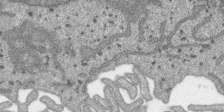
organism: Human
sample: Lung epithelial cells infected with SARS-CoV-2